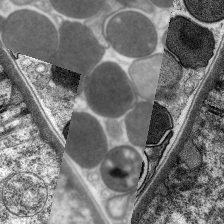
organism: C. elegans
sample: Pharynx